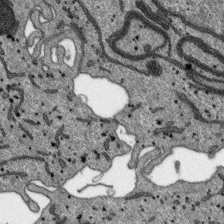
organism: Human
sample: Lung epithelial cells, uninfected (mock) control